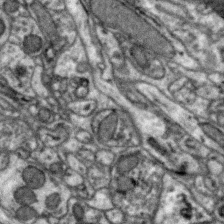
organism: Zebra finch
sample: Brain